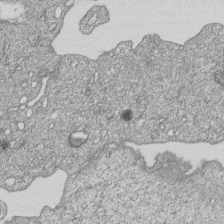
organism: Human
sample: MDA-MB-231 cells